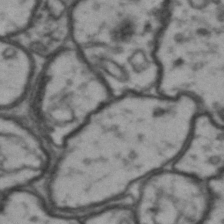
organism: Drosophila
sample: Brain